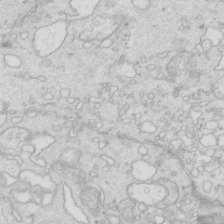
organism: Mouse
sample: Multiciliated cells